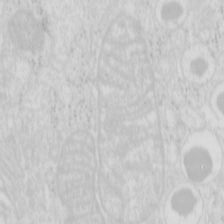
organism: Mouse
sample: Pancreas